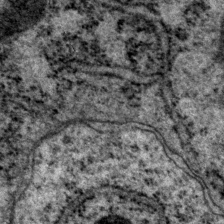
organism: P. pacificus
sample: Pharynx